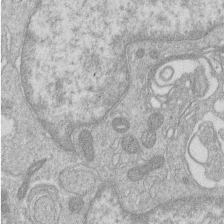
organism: Human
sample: Macrophage cells